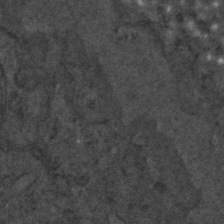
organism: C. elegans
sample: C. elegans embryo